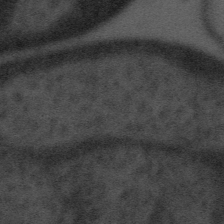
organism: Tuwongella immobilis